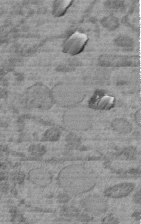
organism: C. elegans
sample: C. elegans embryo early stage